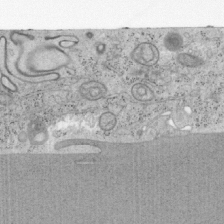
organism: Human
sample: HeLa cells